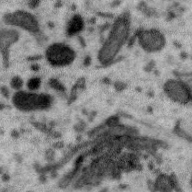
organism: Zebra finch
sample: Brain